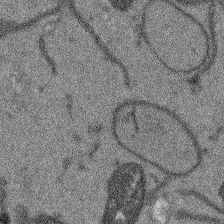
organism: Arabidopsis thaliana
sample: Root tip